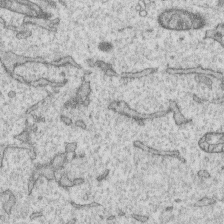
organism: Human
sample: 1205lu cells